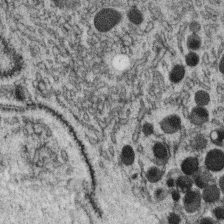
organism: C. elegans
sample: C. elegans oocyte; sperm cells